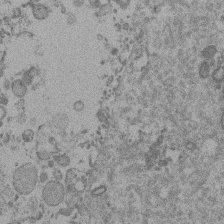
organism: Mouse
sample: Dividing mouse embryo 1 cell stage